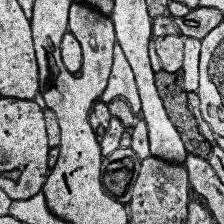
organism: Human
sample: Temporal Lobe